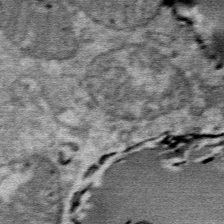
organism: Mouse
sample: Mouse Salivary gland